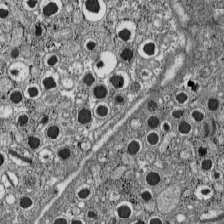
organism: C57BL Mouse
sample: Pancreatic islet